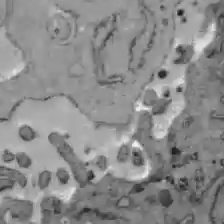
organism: C57BL Mouse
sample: Liver